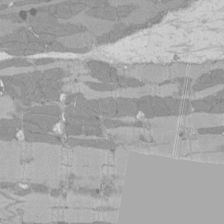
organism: Rat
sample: Left ventricle